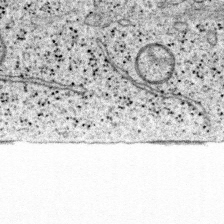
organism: Human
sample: HeLa cells